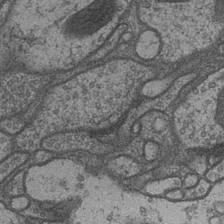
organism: Drosophila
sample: Optic medulla